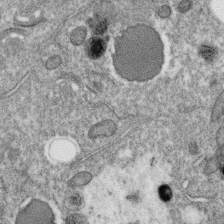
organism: C. elegans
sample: C. elegans oocyte; sperm cells